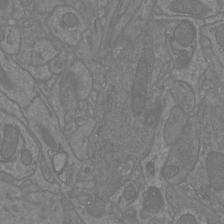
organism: Mouse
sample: Cortical neurons